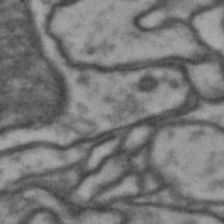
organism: Drosophila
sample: Brain